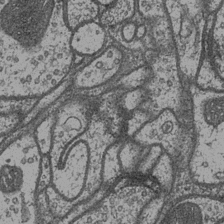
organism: Drosophila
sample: Optic medulla